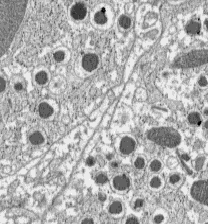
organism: C57BL Mouse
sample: Pancreatic islet